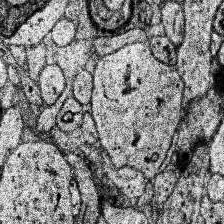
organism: Human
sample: Temporal Lobe